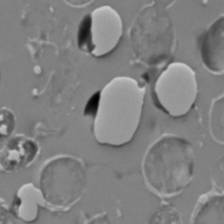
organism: C. elegans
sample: C. elegans embryo